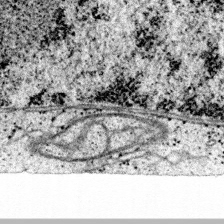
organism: Human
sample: HeLa cells